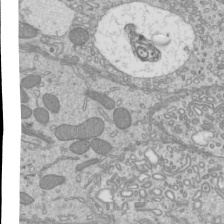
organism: Mouse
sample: Cilia; mouse epididymis